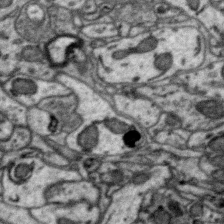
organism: Zebra finch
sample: Brain